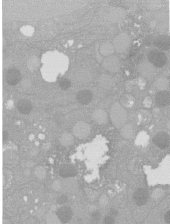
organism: C. elegans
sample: C. elegans oocyte; sperm cells